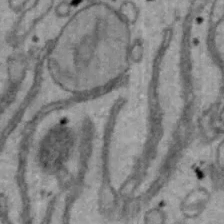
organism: Mouse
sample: Liver